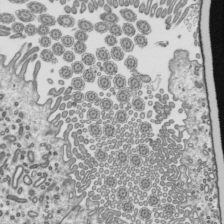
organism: Mouse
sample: Mouse epididymis efferent ductule cilia